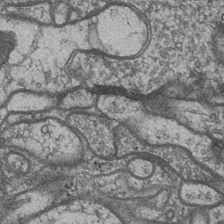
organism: Drosophila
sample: Optic medulla